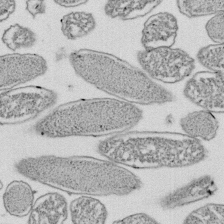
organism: E. coli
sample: Bacterial nucleoid